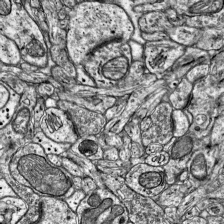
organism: Mouse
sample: Visual Cortex